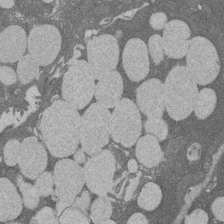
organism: Rat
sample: Salivary granule